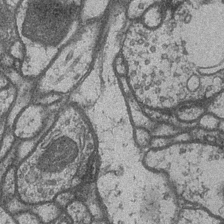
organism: Drosophila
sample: Optic medulla